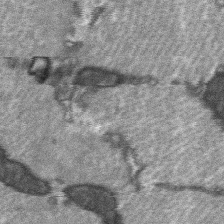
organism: C57BL Mouse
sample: Soleus